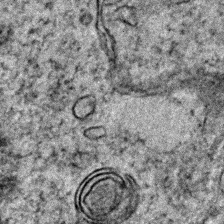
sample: Trachea